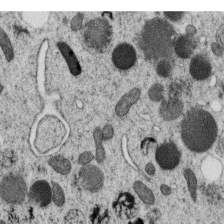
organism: C. elegans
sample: C. elegans oocyte; sperm cells